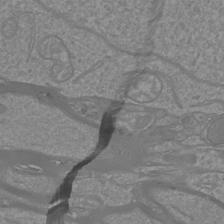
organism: Mouse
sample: Cortical neurons